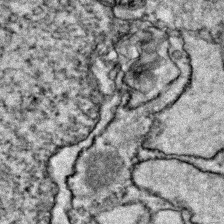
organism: Zebrafish